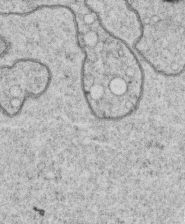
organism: C. elegans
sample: C. elegans oocyte; sperm cells